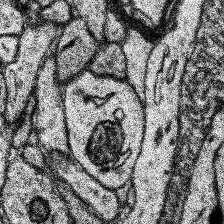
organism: Human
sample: Temporal Lobe